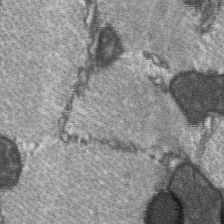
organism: C57BL Mouse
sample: Soleus